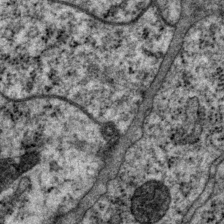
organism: P. pacificus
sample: Pharynx